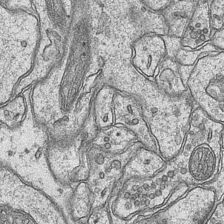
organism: Mouse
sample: CA1 Hippocampus